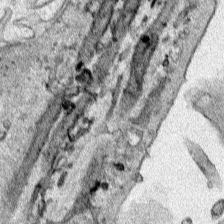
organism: Human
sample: Mitochondria in HCT116 cells